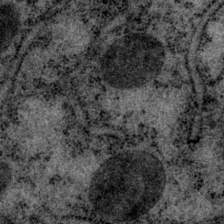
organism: P. pacificus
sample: Pharynx